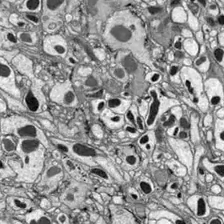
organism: Drosophila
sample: Optic lobe